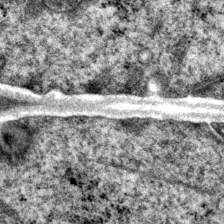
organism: P. pacificus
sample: Pharynx